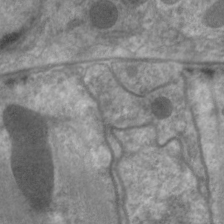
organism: C. elegans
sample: Pharynx